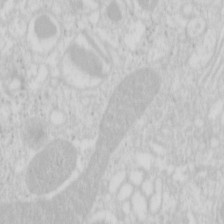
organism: Mouse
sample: Pancreas